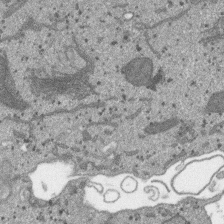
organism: Human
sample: Lung epithelial cells infected with SARS-CoV-2